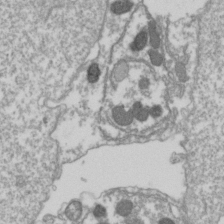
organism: Drosophila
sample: Cell division; meiosis; drosophila spermatocytes